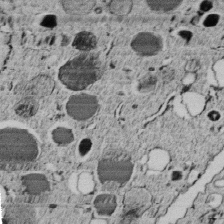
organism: C. elegans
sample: C. elegans embryo early stage